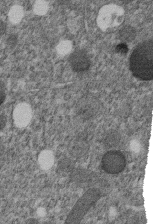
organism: C. elegans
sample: C. elegans embryo early stage